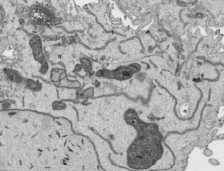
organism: Human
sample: Mitochondria in HCT116 cells